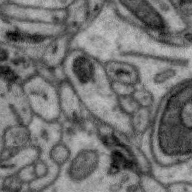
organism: Zebra finch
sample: Brain